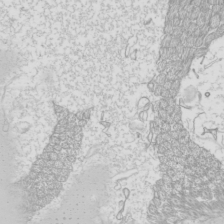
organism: Mouse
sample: Cilia; mouse epididymis